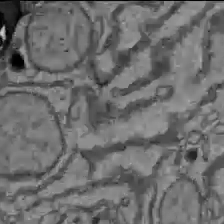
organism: C57BL Mouse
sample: Liver